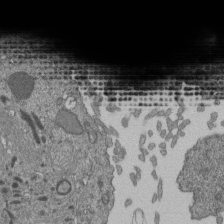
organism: Human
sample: Retinal organoid Rod and Cone cells